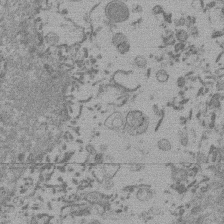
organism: Mouse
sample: Dividing mouse embryo 1 cell stage